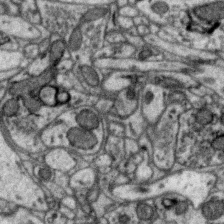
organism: Zebra finch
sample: Brain